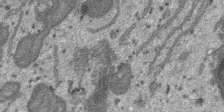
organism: Human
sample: Lung epithelial cells infected with SARS-CoV-2